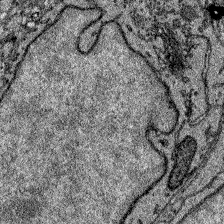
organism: Zebrafish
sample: Larval olfactory bulb